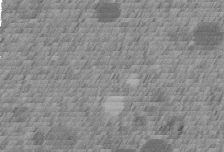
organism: C. elegans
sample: C. elegans embryo early stage